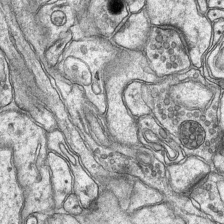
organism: Mouse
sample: CA1 Hippocampus